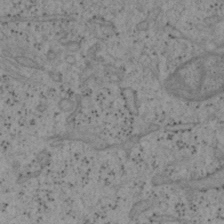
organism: Human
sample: HeLa cells